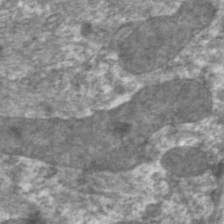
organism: C. elegans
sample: Pharynx